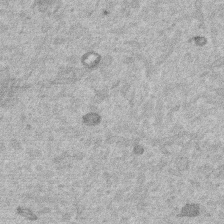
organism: Mouse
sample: Dividing mouse embryo 1 cell stage